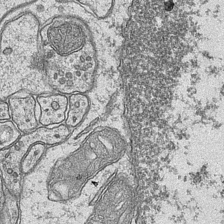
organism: Mouse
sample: CA1 Hippocampus